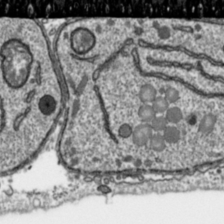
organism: Toxoplasma gondii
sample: Parasites in a vacuole inside a host cell